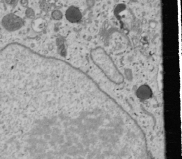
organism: Human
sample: Mitochondria in U2OS cells